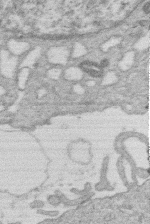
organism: Human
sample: Macrophage cells